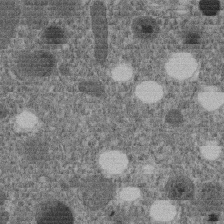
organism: C. elegans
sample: C. elegans embryo early stage